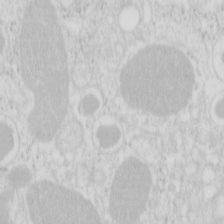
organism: Mouse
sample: Pancreas